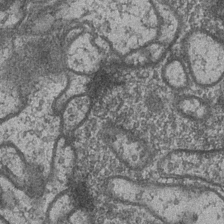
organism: Drosophila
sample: Optic medulla